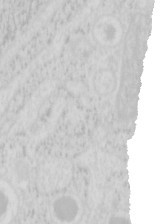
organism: Mouse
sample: Pancreas